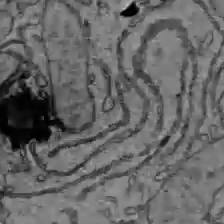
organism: C57BL Mouse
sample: Liver